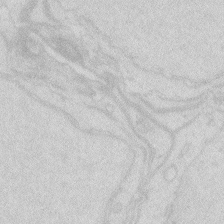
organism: Zebrafish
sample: Macrophage